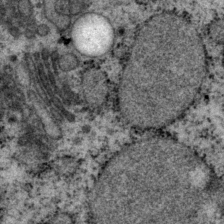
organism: P. pacificus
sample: Pharynx